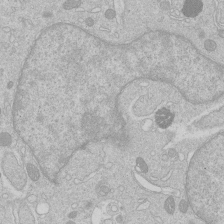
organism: Human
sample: Macrophage cells